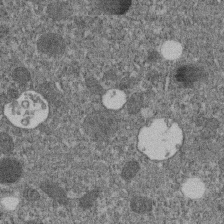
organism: C. elegans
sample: C. elegans embryo early stage